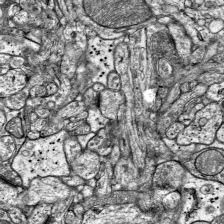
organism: Mouse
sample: Visual Cortex